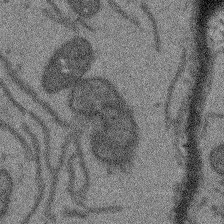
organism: Arabidopsis thaliana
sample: Root tip